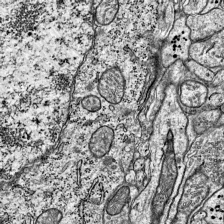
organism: Mouse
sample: Visual Cortex